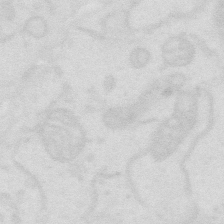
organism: Human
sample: HeLa cells